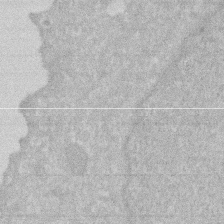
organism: Human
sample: HIV infected U937 cells